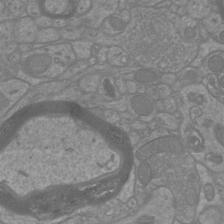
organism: Mouse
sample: Cortical neurons